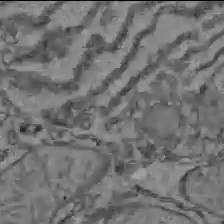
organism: C57BL Mouse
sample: Liver